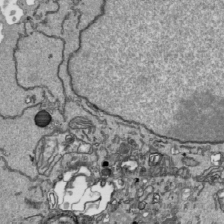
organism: Human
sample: Mitochondria in HCT116 cells